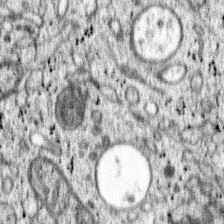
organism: Human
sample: HeLa cells